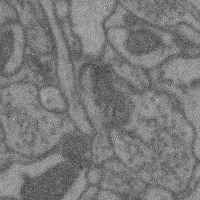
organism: Mouse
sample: Cerebral cortex